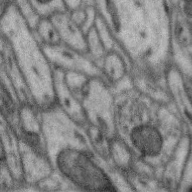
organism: Zebra finch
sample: Brain